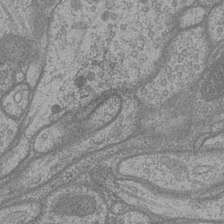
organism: Drosophila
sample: Optic medulla